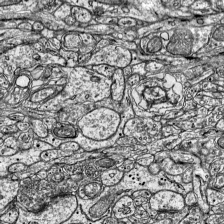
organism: Mouse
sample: Visual Cortex